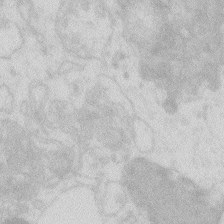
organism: Zebrafish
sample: Macrophage